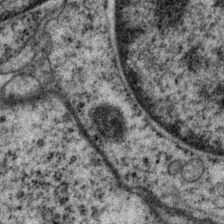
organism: P. pacificus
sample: Pharynx